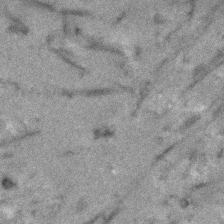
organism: Human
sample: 1205lu cells